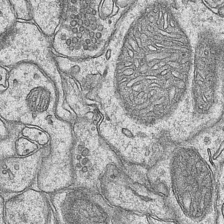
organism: Mouse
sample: CA1 Hippocampus